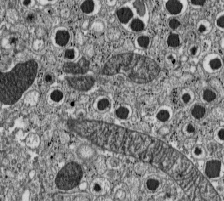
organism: C57BL Mouse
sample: Pancreatic islet